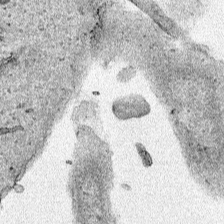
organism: Human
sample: Mitochondria in HCT116 cells